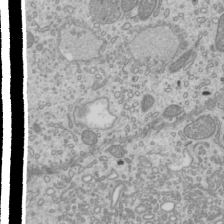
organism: Mouse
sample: Cilia; mouse epididymis